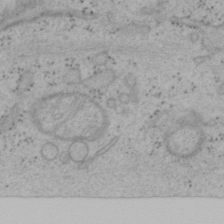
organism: Human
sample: HeLa cells